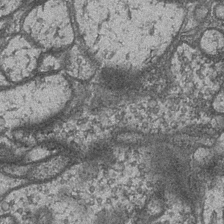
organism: Drosophila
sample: Optic medulla